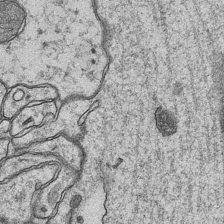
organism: Mouse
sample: CA1 Hippocampus